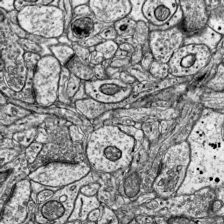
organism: Mouse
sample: Visual Cortex